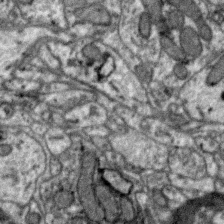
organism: Zebra finch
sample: Brain